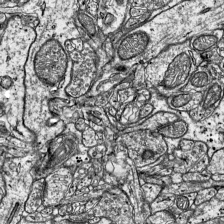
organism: Mouse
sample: Visual Cortex